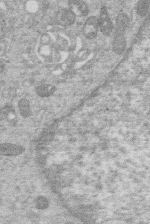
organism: Human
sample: Macrophage cells